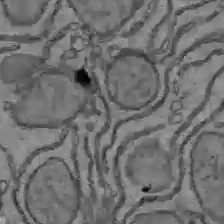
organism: C57BL Mouse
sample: Liver